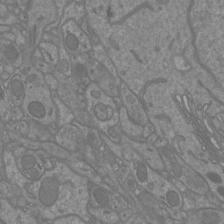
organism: Mouse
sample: Cortical neurons